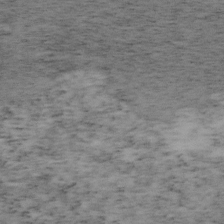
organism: Mouse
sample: OT-I killer T cells with ID8 ovarian cancer cells